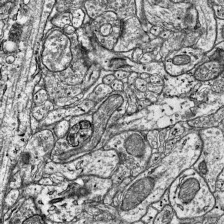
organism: Mouse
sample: Visual Cortex